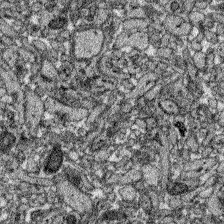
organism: Zebrafish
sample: Larval olfactory bulb